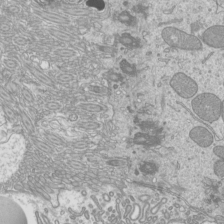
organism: Mouse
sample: Cilia; mouse epididymis